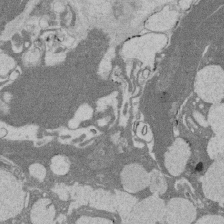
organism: Rat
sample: Salivary granule